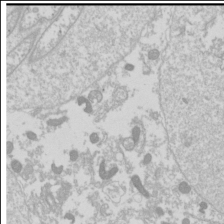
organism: Drosophila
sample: Cell division; meiosis; drosophila spermatocytes